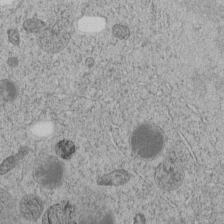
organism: C. elegans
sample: C. elegans embryo early stage